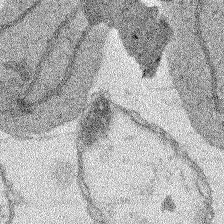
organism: Human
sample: HeLa cells